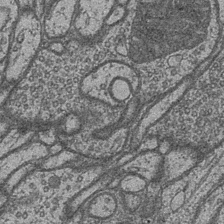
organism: Drosophila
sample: Optic medulla